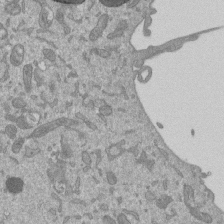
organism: Mouse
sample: ED-1 cell nuclei; centrioles